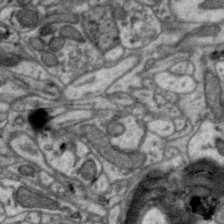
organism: Zebra finch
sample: Brain